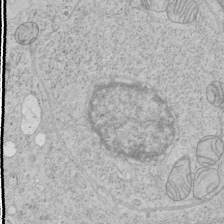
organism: Human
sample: Mitochondria in HCT116 cells